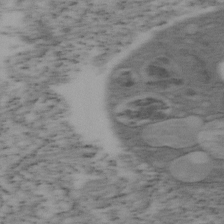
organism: Mouse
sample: OT-I killer T cells with ID8 ovarian cancer cells